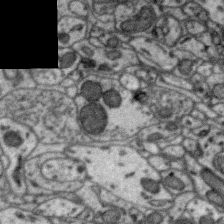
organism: Zebra finch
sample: Brain